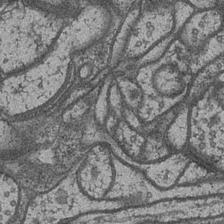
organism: Drosophila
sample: Optic medulla